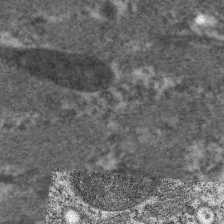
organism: C. elegans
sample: Pharynx